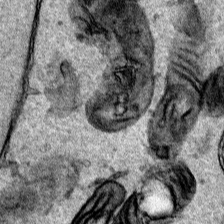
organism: Human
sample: Mitochondria in HCT116 cells